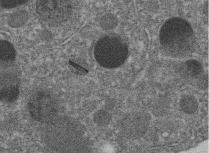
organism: C. elegans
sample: C. elegans embryo early stage